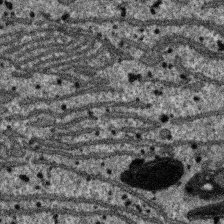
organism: Human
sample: Lung epithelial cells infected with SARS-CoV-2